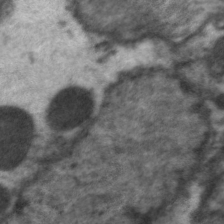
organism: C. elegans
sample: Pharynx